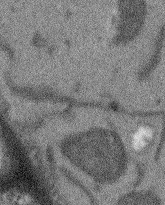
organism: Arabidopsis thaliana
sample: Root tip